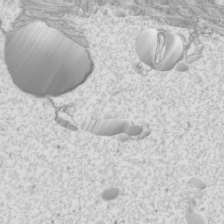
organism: Mouse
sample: Cilia; mouse epididymis